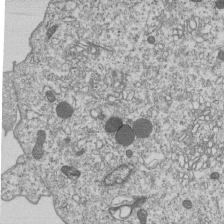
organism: Human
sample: MDA-MB-231 cells